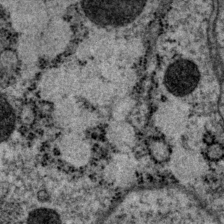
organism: P. pacificus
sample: Pharynx